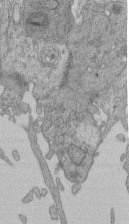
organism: Human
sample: Retinal organoid Rod and Cone cells